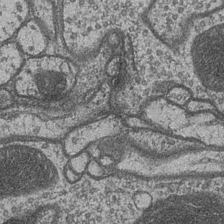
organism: Drosophila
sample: Optic medulla